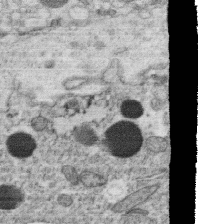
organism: C. elegans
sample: C. elegans oocyte; sperm cells